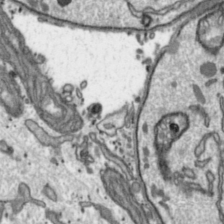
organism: Toxoplasma gondii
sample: Parasites in a vacuole inside a host cell